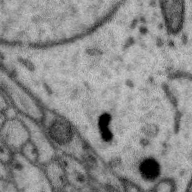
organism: Zebra finch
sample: Brain